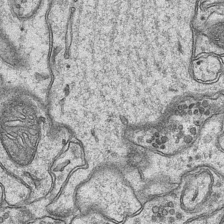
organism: Mouse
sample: CA1 Hippocampus